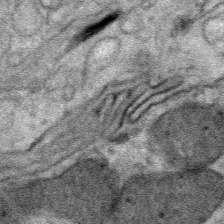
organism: Mouse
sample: Mouse Salivary gland